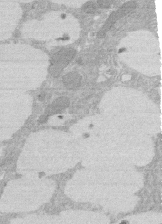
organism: Rat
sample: Salivary granule